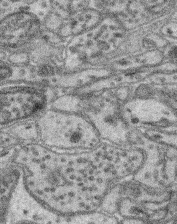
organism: Mouse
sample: Retina